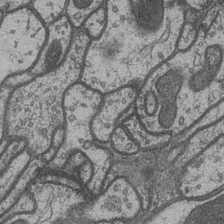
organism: Drosophila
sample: Optic medulla